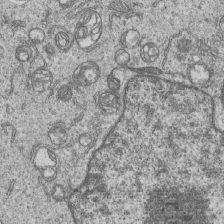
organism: Human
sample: MDA-MB-231 cells